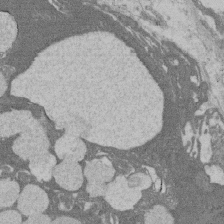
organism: Rat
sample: Salivary granule